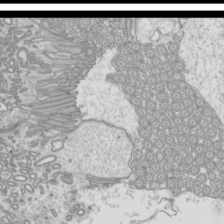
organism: Mouse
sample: Cilia; mouse epididymis